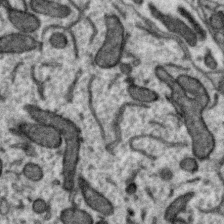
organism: Zebra finch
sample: Brain